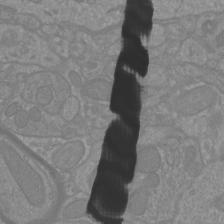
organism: Mouse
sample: Cortical neurons